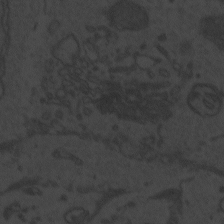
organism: Zebrafish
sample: Macrophage infected with Toxoplasma gondii